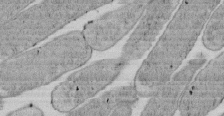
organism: E. coli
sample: Bacterial nucleoid